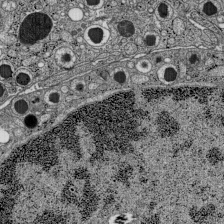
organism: C57BL Mouse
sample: Pancreatic islet